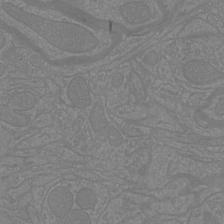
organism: Mouse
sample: Cortical neurons